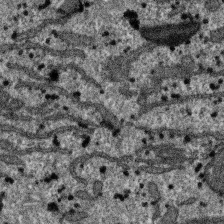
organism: Human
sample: Lung epithelial cells infected with SARS-CoV-2